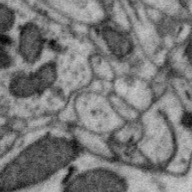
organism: Zebra finch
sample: Brain